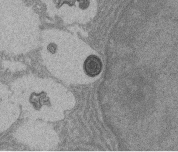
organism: Rat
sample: Salivary granule